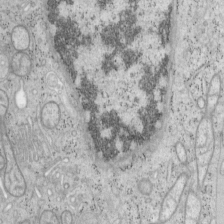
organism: Mouse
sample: OT-I killer T cells with ID8 ovarian cancer cells